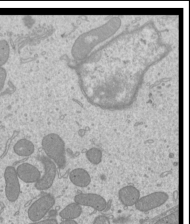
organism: Mouse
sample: Cilia; mouse epididymis